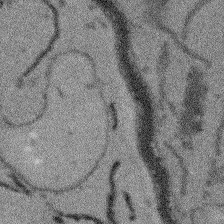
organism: Arabidopsis thaliana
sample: Root tip